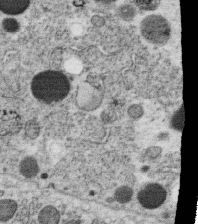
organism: C. elegans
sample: C. elegans oocyte; sperm cells